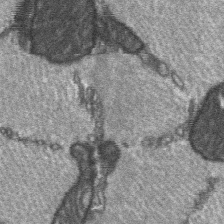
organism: C57BL Mouse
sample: Soleus